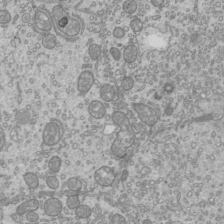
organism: Mouse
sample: Cilia; mouse epididymis